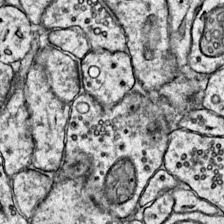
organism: Mouse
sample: Primary visual cortex